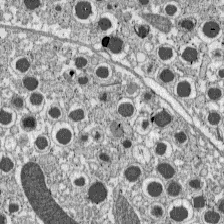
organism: C57BL Mouse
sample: Pancreatic islet